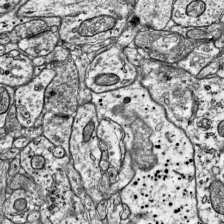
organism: Mouse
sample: Visual Cortex